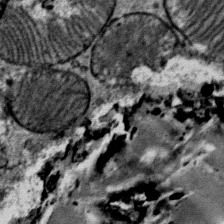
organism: Mouse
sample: Mouse Salivary gland